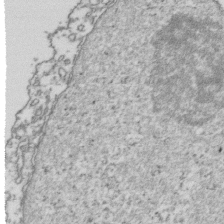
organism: Human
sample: Activated Jurkat CD4+ T cells